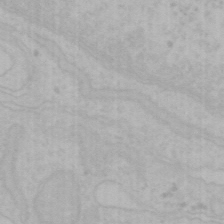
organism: Mouse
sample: Choroid plexus